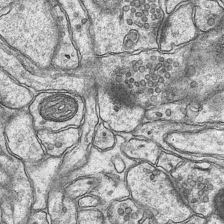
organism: Mouse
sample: CA1 Hippocampus